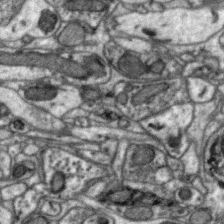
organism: Zebra finch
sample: Brain